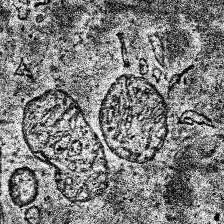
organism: Human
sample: Temporal Lobe